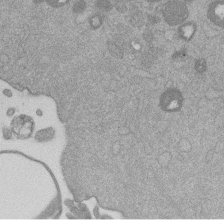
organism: Mouse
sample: Dividing mouse embryo 1 cell stage